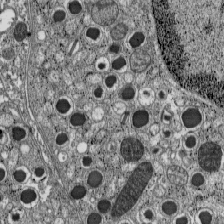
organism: C57BL Mouse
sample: Pancreatic islet